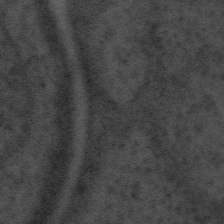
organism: Tuwongella immobilis